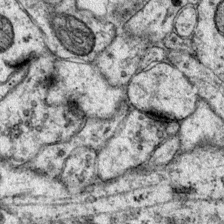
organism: Mouse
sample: Primary visual cortex